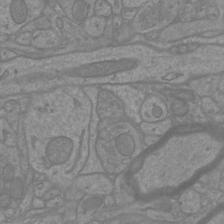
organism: Mouse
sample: Cortical neurons